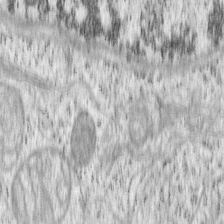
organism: Human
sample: HeLa cells